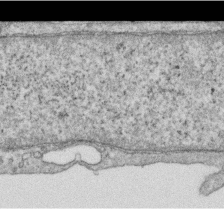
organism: Human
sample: Centriole in RPE cells